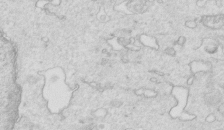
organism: Mouse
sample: Multiciliated cells